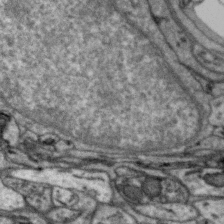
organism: Zebra finch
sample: Brain